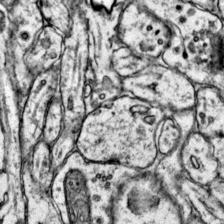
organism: Mouse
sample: Primary visual cortex